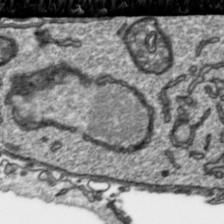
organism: Toxoplasma gondii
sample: Parasites in a vacuole inside a host cell